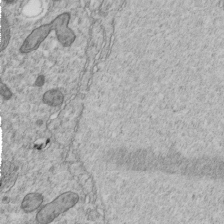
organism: C. elegans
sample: C. elegans embryo early stage